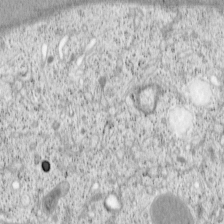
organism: African green monkey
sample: COS-7 cells